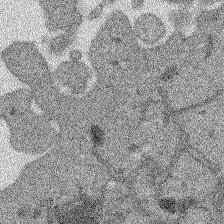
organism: Human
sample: HeLa cells